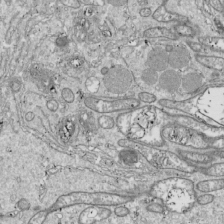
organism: Drosophila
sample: Cell division; meiosis; drosophila spermatocytes